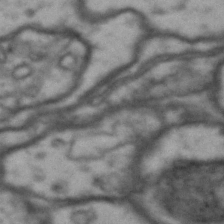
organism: Drosophila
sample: Brain